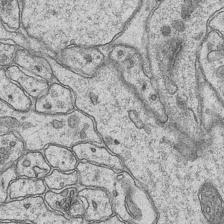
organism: Mouse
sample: CA1 Hippocampus